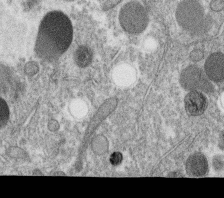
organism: C. elegans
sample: C. elegans oocyte; sperm cells